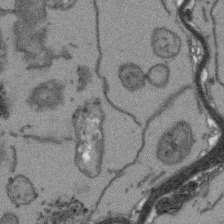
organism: Arabidopsis thaliana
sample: Root tip